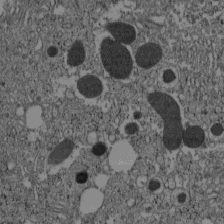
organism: C57BL Mouse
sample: Pancreatic islet